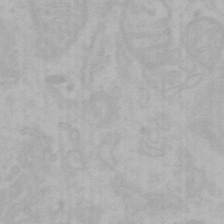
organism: Mouse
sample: Choroid plexus